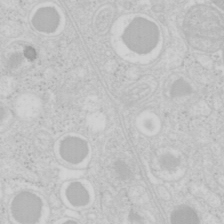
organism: Mouse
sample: Pancreas